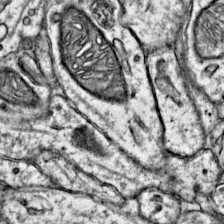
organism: Mouse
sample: Primary visual cortex